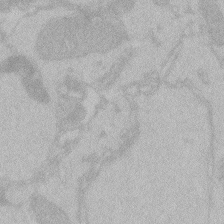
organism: Zebrafish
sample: Macrophage infected with Toxoplasma gondii